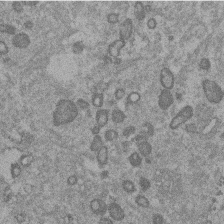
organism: Mouse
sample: Dividing mouse embryo 1 cell stage